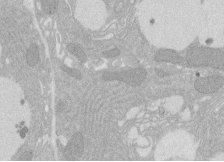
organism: Rat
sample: Salivary granule